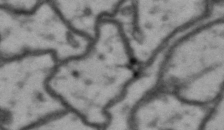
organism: Drosophila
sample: Brain